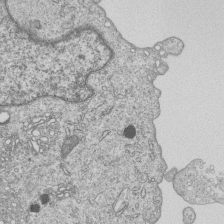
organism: Human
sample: MDA-MB-231 cells